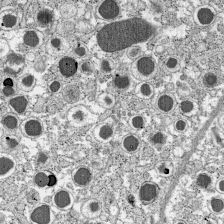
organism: C57BL Mouse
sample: Pancreatic islet